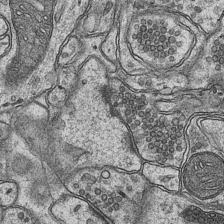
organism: Mouse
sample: CA1 Hippocampus